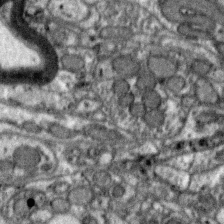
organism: Zebra finch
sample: Brain